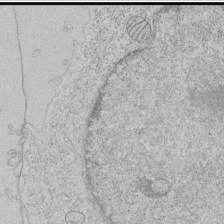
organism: Human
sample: Mitochondria in HCT116 cells